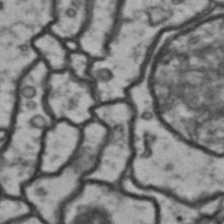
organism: Drosophila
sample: Brain